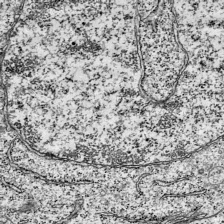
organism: Mouse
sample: Visual Cortex